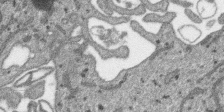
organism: Human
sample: Lung epithelial cells infected with SARS-CoV-2